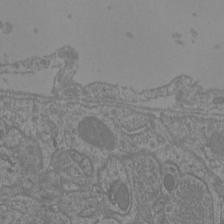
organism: Mouse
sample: Cortical neurons